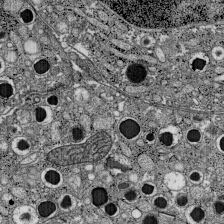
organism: C57BL Mouse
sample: Pancreatic islet